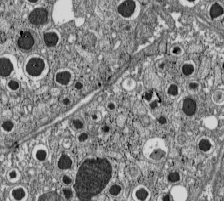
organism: C57BL Mouse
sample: Pancreatic islet